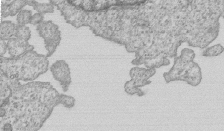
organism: Human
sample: MDA-MB-231 cells